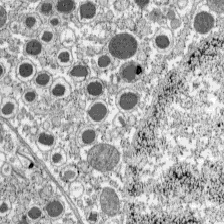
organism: C57BL Mouse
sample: Pancreatic islet